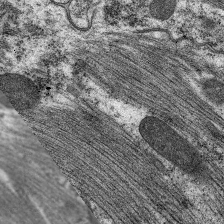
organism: C. elegans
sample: Pharynx